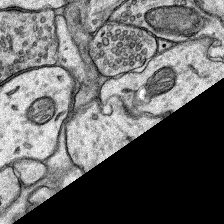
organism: Rat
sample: Hippocampus